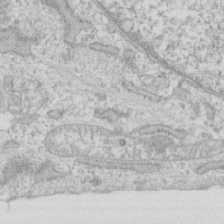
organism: Human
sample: Fibroblast cells